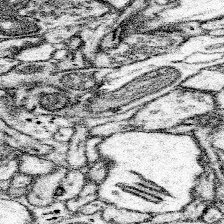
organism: Mouse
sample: Somatosensory cortex neuropil